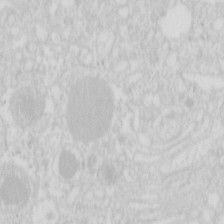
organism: Mouse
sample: Pancreas